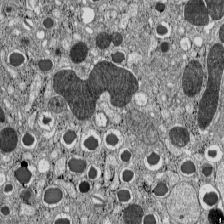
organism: C57BL Mouse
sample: Pancreatic islet